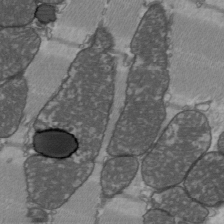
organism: C57BL Mouse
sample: Heart